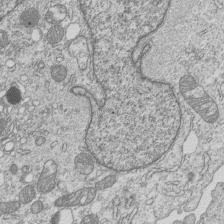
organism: Human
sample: MDA-MB-231 cells